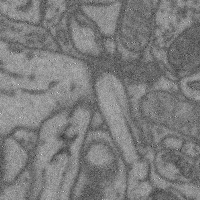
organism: Mouse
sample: Cerebral cortex